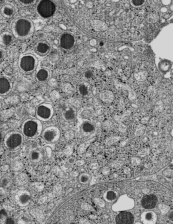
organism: C57BL Mouse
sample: Pancreatic islet